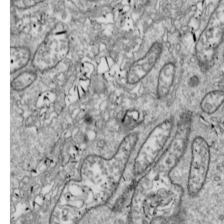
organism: Drosophila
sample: Cell division; meiosis; drosophila spermatocytes